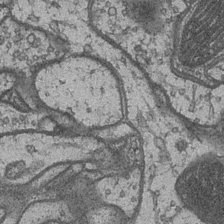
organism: Drosophila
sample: Optic medulla